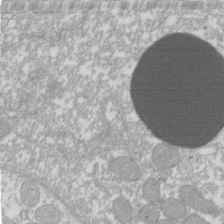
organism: Xenopus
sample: Cilia; centrioles in frog embryo cells